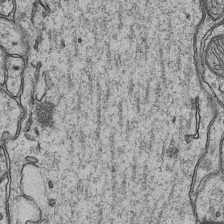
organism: Mouse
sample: CA1 Hippocampus